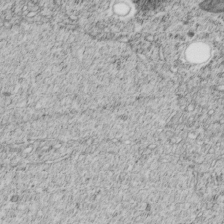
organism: C. elegans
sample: C. elegans embryo early stage